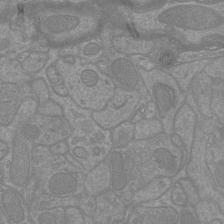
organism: Mouse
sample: Cortical neurons